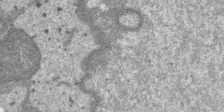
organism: Human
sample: Lung epithelial cells infected with SARS-CoV-2